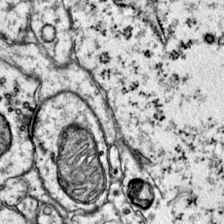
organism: Mouse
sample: Primary visual cortex